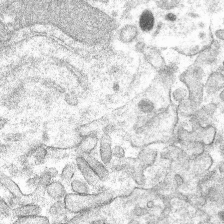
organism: Mouse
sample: Mouse hepatocytes